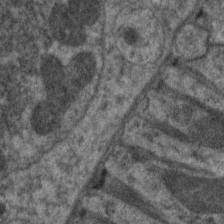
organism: C. elegans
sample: Pharynx